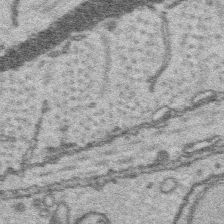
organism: Platynereis dumerilii